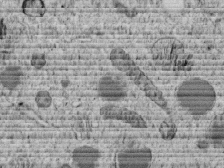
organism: C. elegans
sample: C. elegans embryo early stage